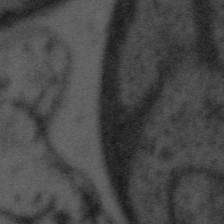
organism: Tuwongella immobilis